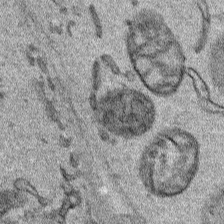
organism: Human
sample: Mitochondria in HCT116 cells